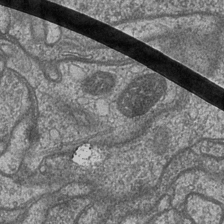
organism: Drosophila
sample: Optic medulla